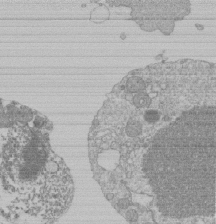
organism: Mouse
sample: Activated Pmel transgenic CD8+ T Cells